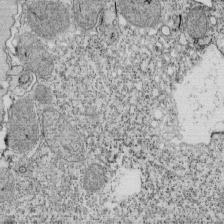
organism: Tetrahymena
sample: Cilia in tetrahymena